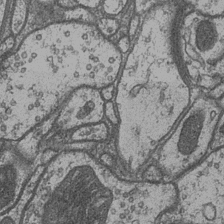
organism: Drosophila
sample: Optic medulla